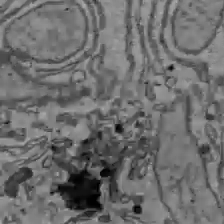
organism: C57BL Mouse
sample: Liver